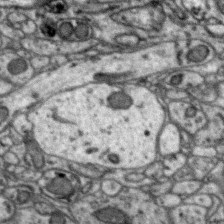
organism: Zebra finch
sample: Brain